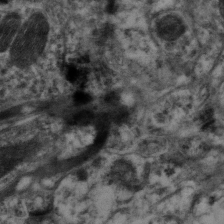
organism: Mouse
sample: Neocortex